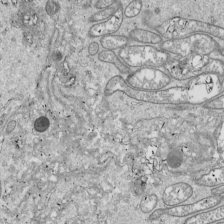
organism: Drosophila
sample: Cell division; meiosis; drosophila spermatocytes